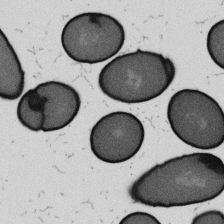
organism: B. subtilis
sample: Bacterial spore